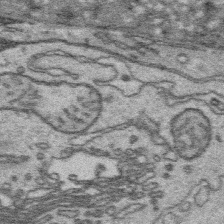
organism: Platynereis dumerilii